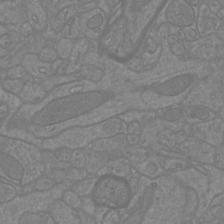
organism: Mouse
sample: Cortical neurons